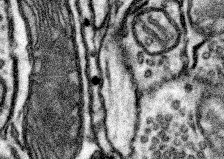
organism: Mouse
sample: Somatosensory cortex neuropil